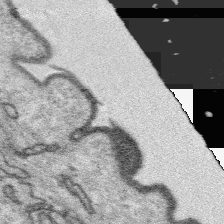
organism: Platynereis dumerilii